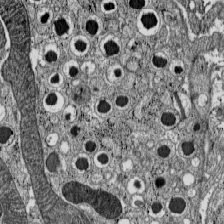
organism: C57BL Mouse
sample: Pancreatic islet